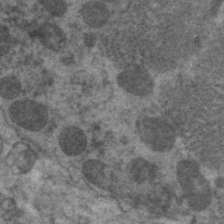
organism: C. elegans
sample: Pharynx